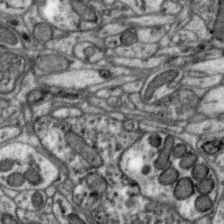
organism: Zebra finch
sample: Brain